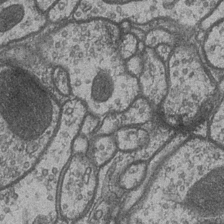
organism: Drosophila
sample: Optic medulla